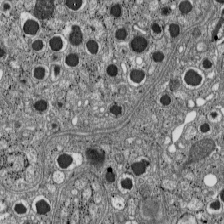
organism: C57BL Mouse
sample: Pancreatic islet